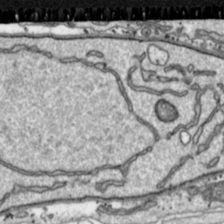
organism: Toxoplasma gondii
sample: Parasites in a vacuole inside a host cell